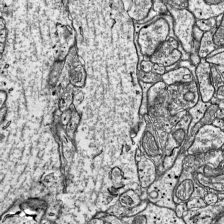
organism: Mouse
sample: Visual Cortex